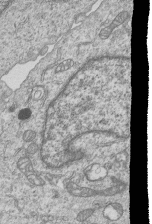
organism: Human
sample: MDA-MB-231 cells